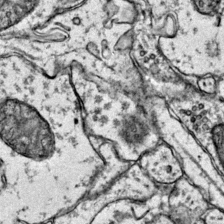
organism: Mouse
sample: Primary visual cortex